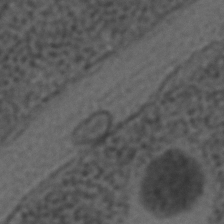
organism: C. elegans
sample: C. elegans embryo